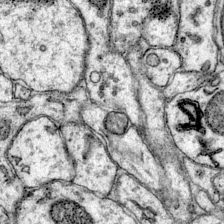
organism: Mouse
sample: Primary visual cortex